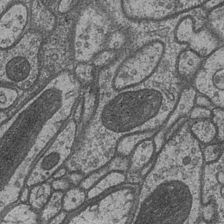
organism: Drosophila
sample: Optic medulla